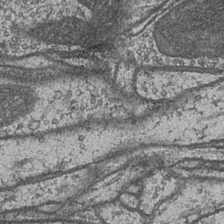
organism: Drosophila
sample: Optic medulla